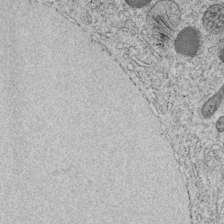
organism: C. elegans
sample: C. elegans embryo early stage